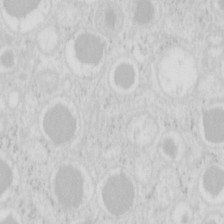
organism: Mouse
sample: Pancreas